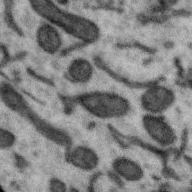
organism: Zebra finch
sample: Brain